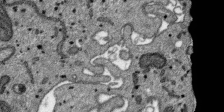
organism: Human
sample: Lung epithelial cells, uninfected (mock) control